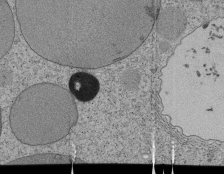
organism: Tetrahymena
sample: Cilia in tetrahymena